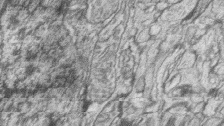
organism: Zebrafish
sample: synaptic ribbons in rod cells and cone cells